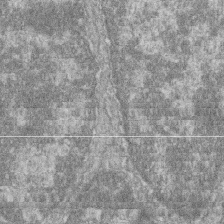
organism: Zebrafish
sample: Cilia; retinal pigment epithelium